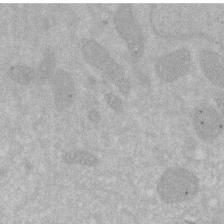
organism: Human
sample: HIV infected U937 cells